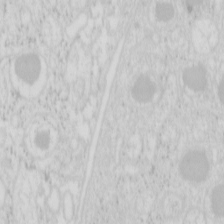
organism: Mouse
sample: Pancreas